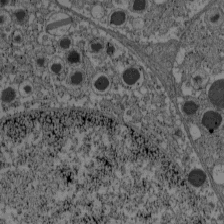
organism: C57BL Mouse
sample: Pancreatic islet